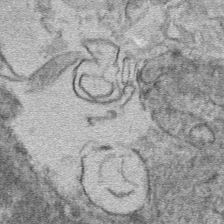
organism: Mouse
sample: Mouse hepatocytes